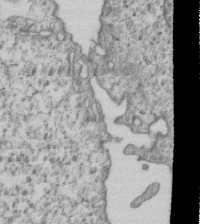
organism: Human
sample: MDA-MB-231 cells